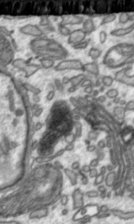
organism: Toxoplasma gondii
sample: Parasites in a vacuole inside a host cell